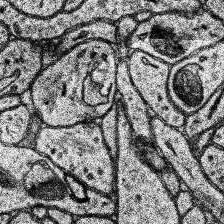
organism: Human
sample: Temporal Lobe